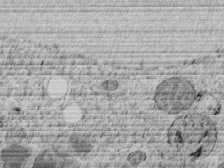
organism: C. elegans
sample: C. elegans embryo early stage